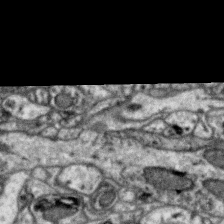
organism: Zebra finch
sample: Brain